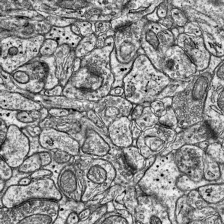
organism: Mouse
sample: Visual Cortex